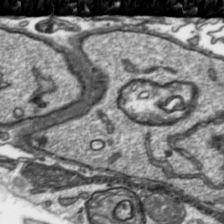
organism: Toxoplasma gondii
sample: Parasites in a vacuole inside a host cell